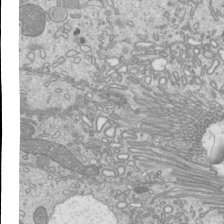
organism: Mouse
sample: Cilia; mouse epididymis